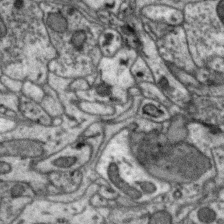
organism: Zebra finch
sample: Brain